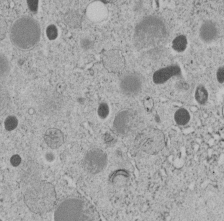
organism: C. elegans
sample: C. elegans embryo early stage